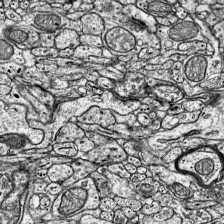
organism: Mouse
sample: Visual Cortex